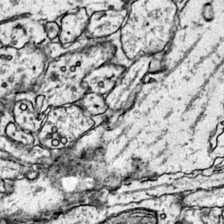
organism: Mouse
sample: Primary visual cortex